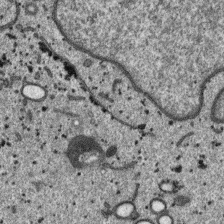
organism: Human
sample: Lung epithelial cells infected with SARS-CoV-2